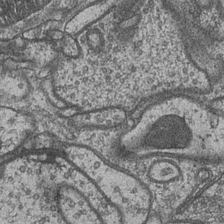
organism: Drosophila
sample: Optic medulla